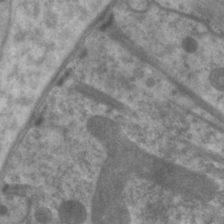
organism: C. elegans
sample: Pharynx